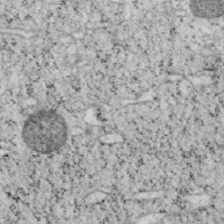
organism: Mouse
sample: OT-I killer T cells with ID8 ovarian cancer cells